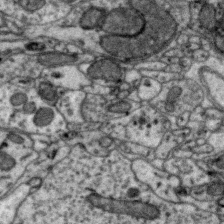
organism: Zebra finch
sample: Brain